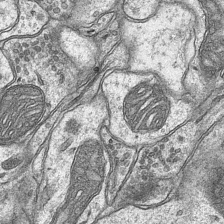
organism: Mouse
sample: CA1 Hippocampus